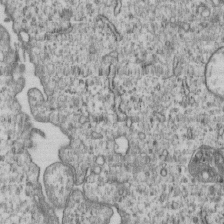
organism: Human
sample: MDA-MB-231 cells